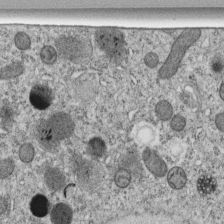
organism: C. elegans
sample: C. elegans embryo early stage